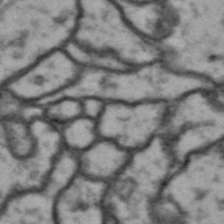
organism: Drosophila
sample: Brain